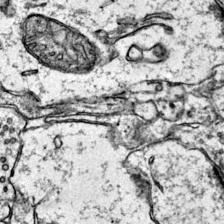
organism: Mouse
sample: Primary visual cortex